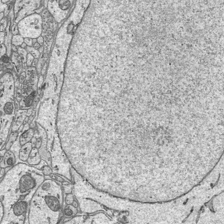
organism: Mouse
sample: Suprachiasmatic nucleus